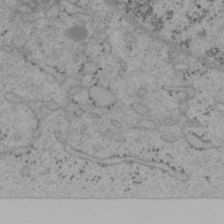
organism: Human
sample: HeLa cells